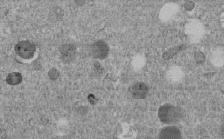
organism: C. elegans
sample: C. elegans embryo early stage